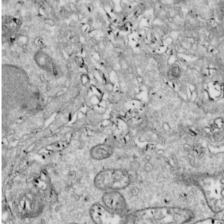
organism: Drosophila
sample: Cell division; meiosis; drosophila spermatocytes